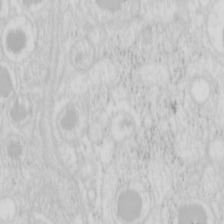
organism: Mouse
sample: Pancreas